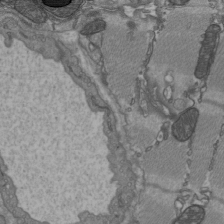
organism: C57BL Mouse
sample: Heart